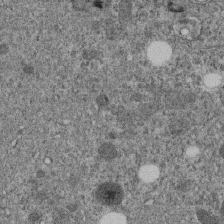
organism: C. elegans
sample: C. elegans embryo early stage